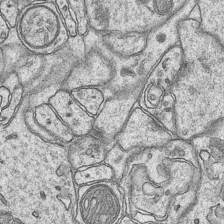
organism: Mouse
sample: CA1 Hippocampus